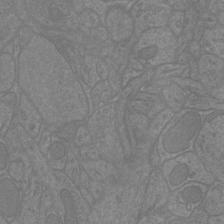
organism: Mouse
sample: Cortical neurons